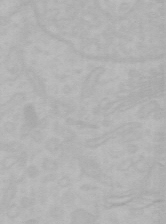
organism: Mouse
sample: Choroid plexus